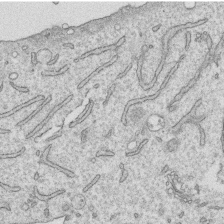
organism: Human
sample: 1205lu cells